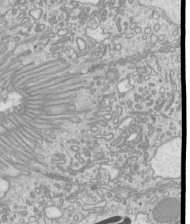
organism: Mouse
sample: Cilia; mouse epididymis